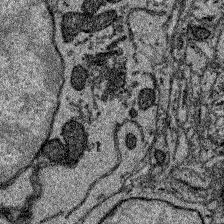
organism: Zebrafish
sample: Larval olfactory bulb